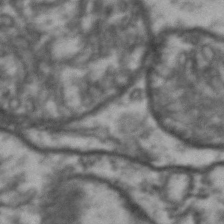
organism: Drosophila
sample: Brain